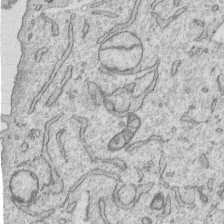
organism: Human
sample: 1205lu cells